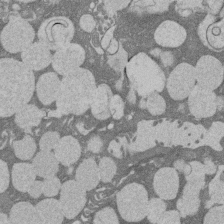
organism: Rat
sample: Salivary granule